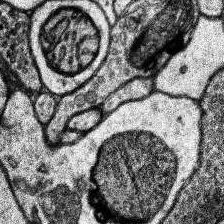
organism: Human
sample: Temporal Lobe